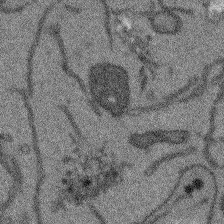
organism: Arabidopsis thaliana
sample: Root tip